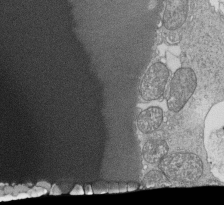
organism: Tetrahymena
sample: Cilia in tetrahymena